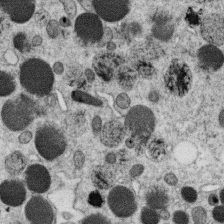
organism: C. elegans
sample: C. elegans oocyte; sperm cells